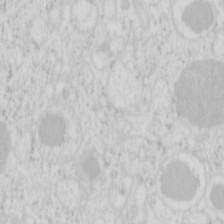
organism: Mouse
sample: Pancreas